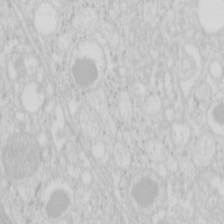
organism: Mouse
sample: Pancreas